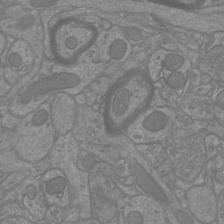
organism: Mouse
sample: Cortical neurons